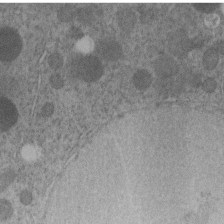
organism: C. elegans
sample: C. elegans embryo early stage